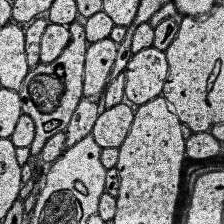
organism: Human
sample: Temporal Lobe